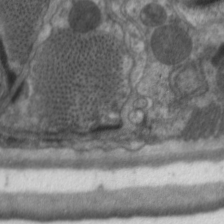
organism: C. elegans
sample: Pharynx